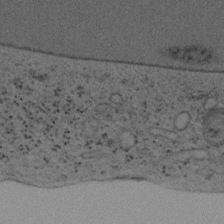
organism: Human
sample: HeLa cells